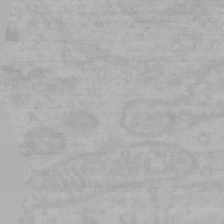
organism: Mouse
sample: Choroid plexus